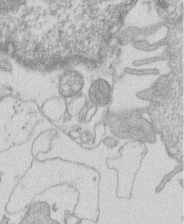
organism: Human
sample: Macrophage cells